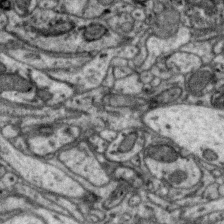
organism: Zebra finch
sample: Brain